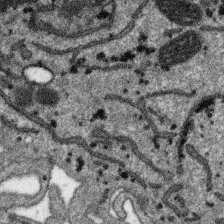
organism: Human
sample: Lung epithelial cells infected with SARS-CoV-2